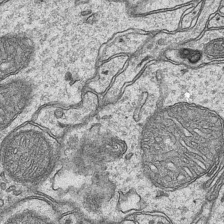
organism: Mouse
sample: CA1 Hippocampus